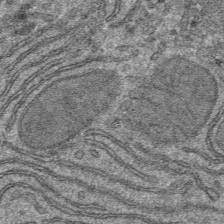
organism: Mouse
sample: Mouse hepatocytes